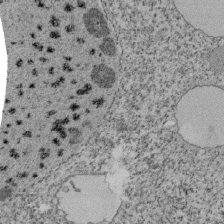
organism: Tetrahymena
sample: Cilia in tetrahymena